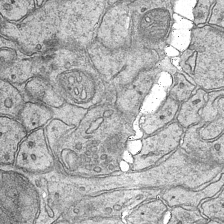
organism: Mouse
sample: CA1 Hippocampus